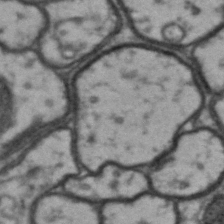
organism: Drosophila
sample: Brain